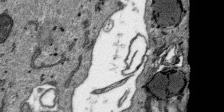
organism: Human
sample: Lung epithelial cells, uninfected (mock) control